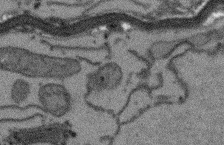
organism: Arabidopsis thaliana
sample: Root tip